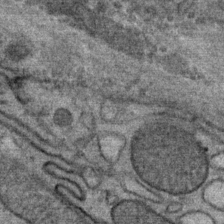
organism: Mouse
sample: Mouse Salivary gland